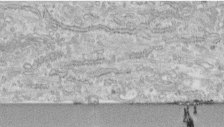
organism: Human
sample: Centriole in fibroblast cells